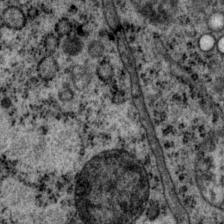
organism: P. pacificus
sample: Pharynx